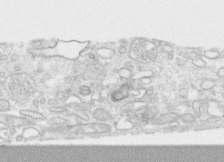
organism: Human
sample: CRL-1474